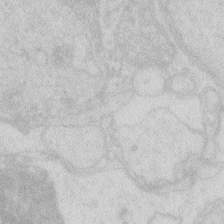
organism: Zebrafish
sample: Macrophage